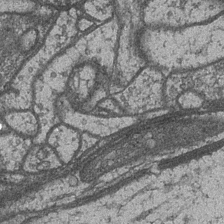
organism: Drosophila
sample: Optic medulla